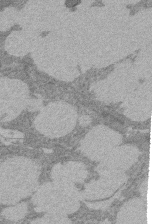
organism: Rat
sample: Salivary granule